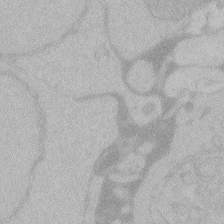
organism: Zebrafish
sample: Macrophage infected with Toxoplasma gondii